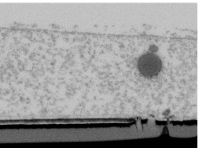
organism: Human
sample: U2-OS cells